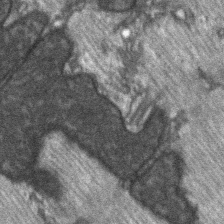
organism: C57BL Mouse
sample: Soleus